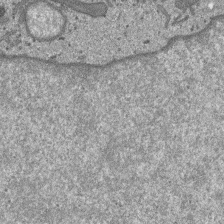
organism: Human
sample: Lung epithelial cells infected with SARS-CoV-2